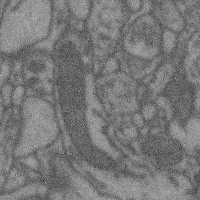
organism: Mouse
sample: Cerebral cortex